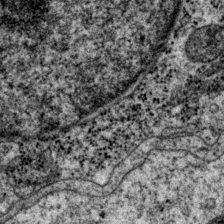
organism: P. pacificus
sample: Pharynx